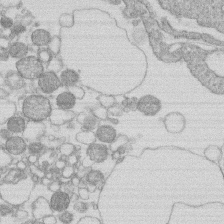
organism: Human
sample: Macrophage cells